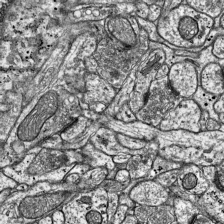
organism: Mouse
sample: Visual Cortex